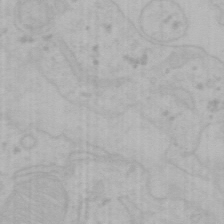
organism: Mouse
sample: Choroid plexus